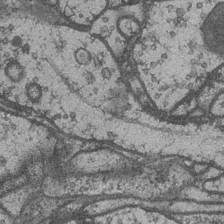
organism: Drosophila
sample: Optic medulla